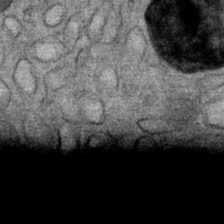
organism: Mouse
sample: Mouse Salivary gland